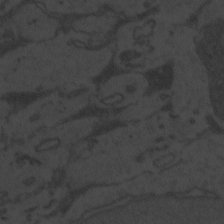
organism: Zebrafish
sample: Macrophage infected with Toxoplasma gondii